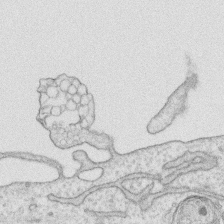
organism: Human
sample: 1205lu cells